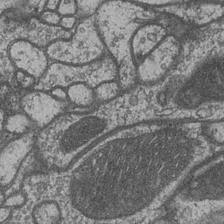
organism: Drosophila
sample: Optic medulla